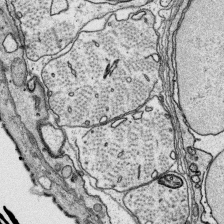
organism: Platynereis dumerilii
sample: Parapodia